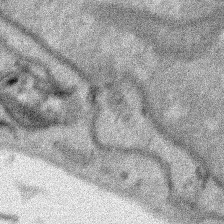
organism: Human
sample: Mitochondria in HCT116 cells